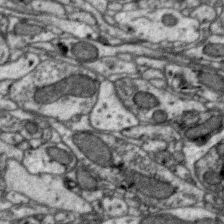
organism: Zebra finch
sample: Brain